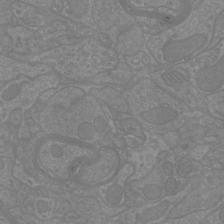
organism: Mouse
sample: Cortical neurons